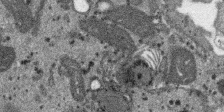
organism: Human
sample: Lung epithelial cells infected with SARS-CoV-2